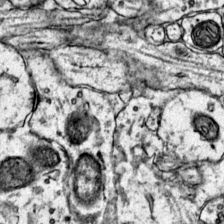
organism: Mouse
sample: Primary visual cortex